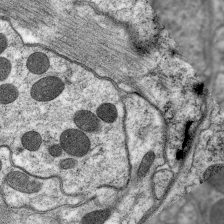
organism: C. elegans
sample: Pharynx